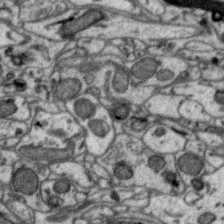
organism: Zebra finch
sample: Brain